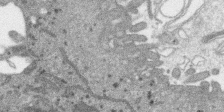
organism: Human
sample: Lung epithelial cells infected with SARS-CoV-2